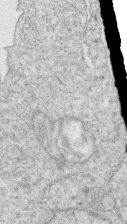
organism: Human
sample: HeLa cell HIV synapse